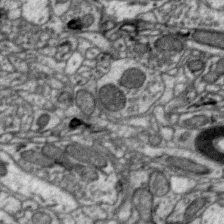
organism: Zebra finch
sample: Brain